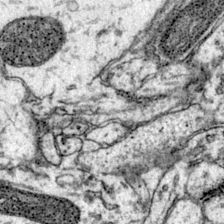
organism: Mouse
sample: Primary visual cortex